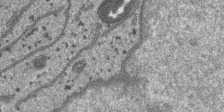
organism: Human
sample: Lung epithelial cells infected with SARS-CoV-2